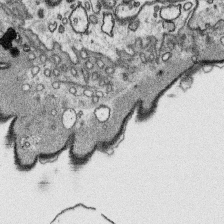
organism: Platynereis dumerilii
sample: Parapodia